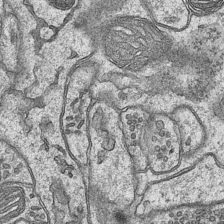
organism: Mouse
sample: CA1 Hippocampus